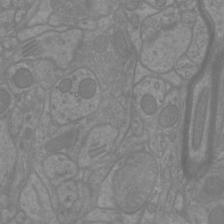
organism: Mouse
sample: Cortical neurons